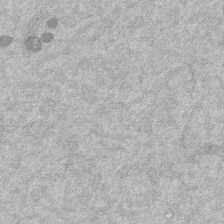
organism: Mouse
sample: Dividing mouse embryo 1 cell stage